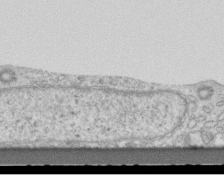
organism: Mouse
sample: Centriole in ependymal cells